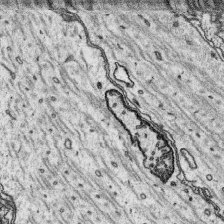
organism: Platynereis dumerilii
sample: Parapodia